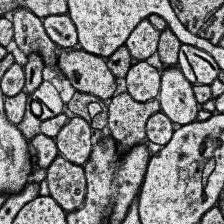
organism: Human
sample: Temporal Lobe